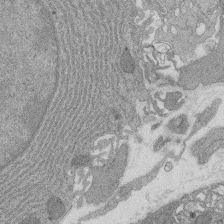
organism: Rat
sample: Salivary granule